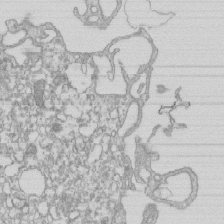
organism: Mouse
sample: Macrophages